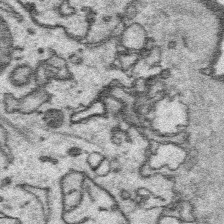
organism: Platynereis dumerilii